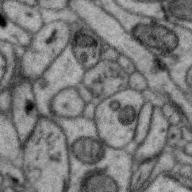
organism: Zebra finch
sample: Brain